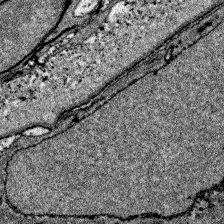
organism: Zebrafish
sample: Larval olfactory bulb